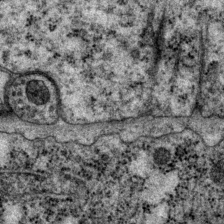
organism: P. pacificus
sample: Pharynx